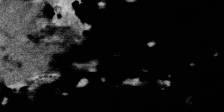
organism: Human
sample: Lung epithelial cells, uninfected (mock) control